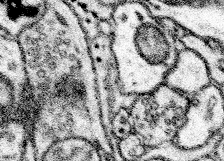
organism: Mouse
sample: Somatosensory cortex neuropil